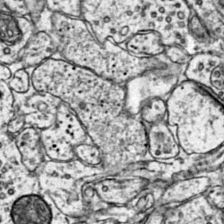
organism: Mouse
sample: Primary visual cortex